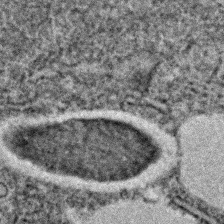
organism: C. elegans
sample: C. elegans embryo